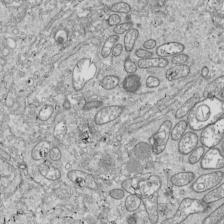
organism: Drosophila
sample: Cell division; meiosis; drosophila spermatocytes